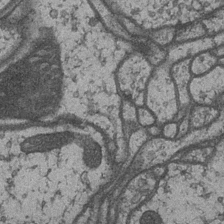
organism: Drosophila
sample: Optic medulla